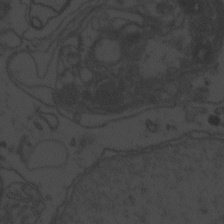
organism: Zebrafish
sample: Macrophage infected with Toxoplasma gondii